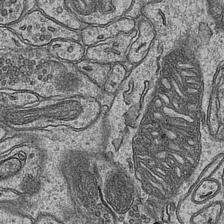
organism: Mouse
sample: CA1 Hippocampus